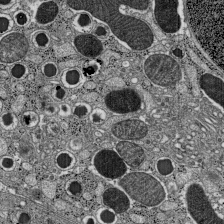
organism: C57BL Mouse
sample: Pancreatic islet